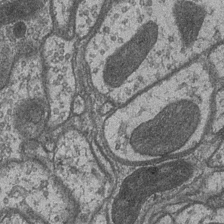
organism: Drosophila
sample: Optic medulla